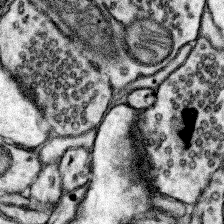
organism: Mouse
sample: Somatosensory cortex neuropil